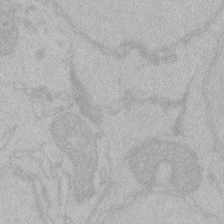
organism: Zebrafish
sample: Macrophage infected with Toxoplasma gondii